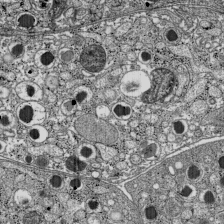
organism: C57BL Mouse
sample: Pancreatic islet